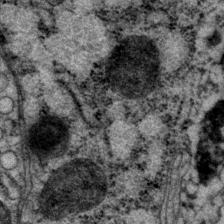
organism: P. pacificus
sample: Pharynx